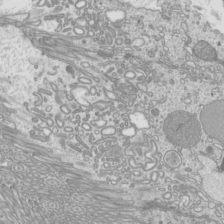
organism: Mouse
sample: Cilia; mouse epididymis